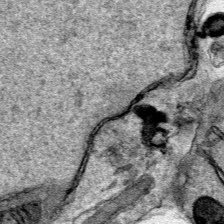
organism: Human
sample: Mitochondria in HCT116 cells